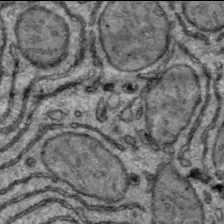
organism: C57BL Mouse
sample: Liver